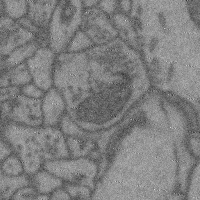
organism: Mouse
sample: Cerebral cortex